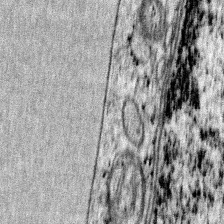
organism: Human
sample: HeLa cells